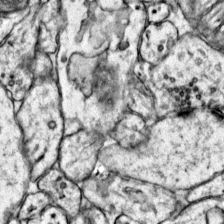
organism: Mouse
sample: Primary visual cortex